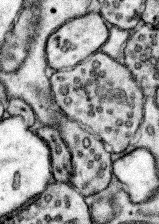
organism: Mouse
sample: Somatosensory cortex neuropil